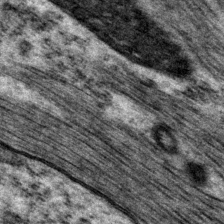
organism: P. pacificus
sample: Pharynx